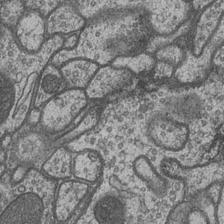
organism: Drosophila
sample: Optic medulla